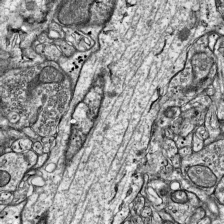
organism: Mouse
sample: Visual Cortex